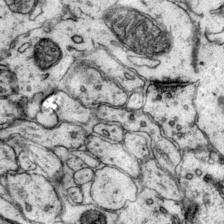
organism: Mouse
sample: Primary visual cortex